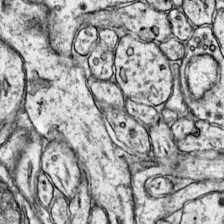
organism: Mouse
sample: Primary visual cortex